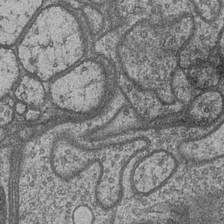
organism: Drosophila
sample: Optic medulla